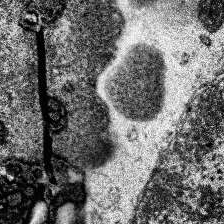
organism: Human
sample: Temporal Lobe